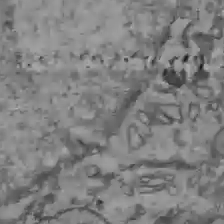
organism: C57BL Mouse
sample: Liver